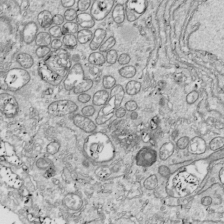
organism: Drosophila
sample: Cell division; meiosis; drosophila spermatocytes